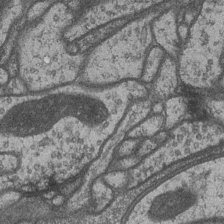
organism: Drosophila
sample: Optic medulla